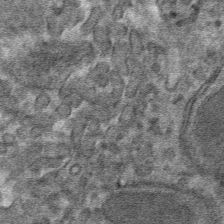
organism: Mouse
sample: Mouse hepatocytes